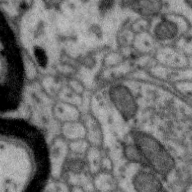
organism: Zebra finch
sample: Brain